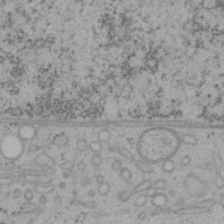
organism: Human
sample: HeLa cells